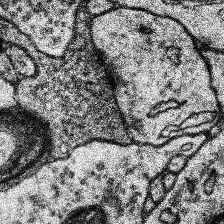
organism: Human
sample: Temporal Lobe